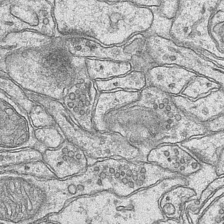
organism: Mouse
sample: CA1 Hippocampus